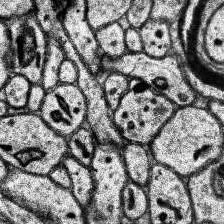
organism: Human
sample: Temporal Lobe